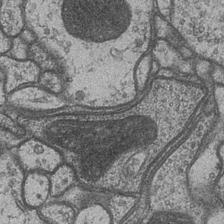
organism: Drosophila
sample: Optic medulla